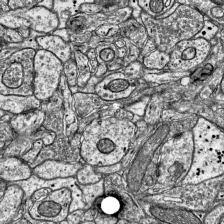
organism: Mouse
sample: Visual Cortex